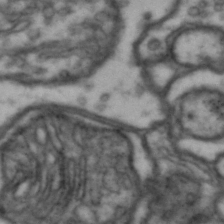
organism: Drosophila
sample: Brain